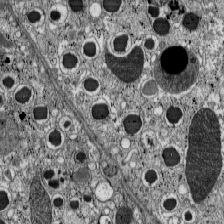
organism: C57BL Mouse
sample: Pancreatic islet